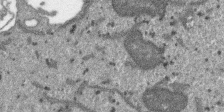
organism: Human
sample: Lung epithelial cells infected with SARS-CoV-2